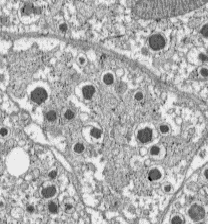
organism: C57BL Mouse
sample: Pancreatic islet